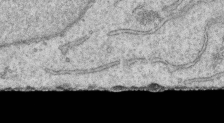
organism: Human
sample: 1205lu cells